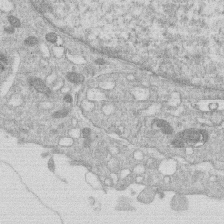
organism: Human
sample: Macrophage cells